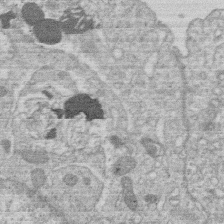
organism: Human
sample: Macrophage cells